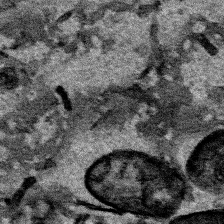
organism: Human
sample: Mitochondria in HCT116 cells